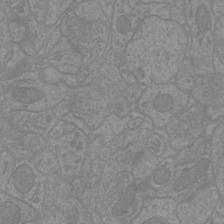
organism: Mouse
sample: Cortical neurons